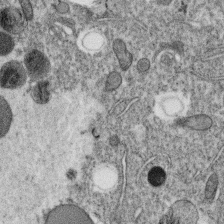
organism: C. elegans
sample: C. elegans oocyte; sperm cells